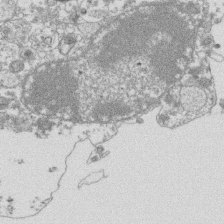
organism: Human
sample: HeLa cell HIV synapse